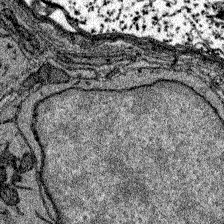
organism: Zebrafish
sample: Larval olfactory bulb